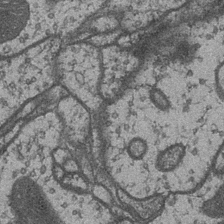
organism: Drosophila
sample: Optic medulla